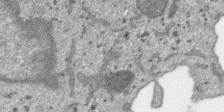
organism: Human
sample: Lung epithelial cells infected with SARS-CoV-2